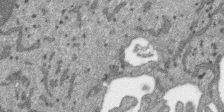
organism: Human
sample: Lung epithelial cells infected with SARS-CoV-2